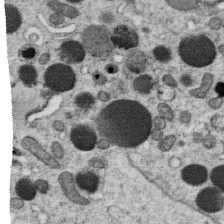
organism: C. elegans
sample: C. elegans oocyte; sperm cells